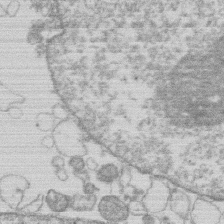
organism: Human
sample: Macrophage cells